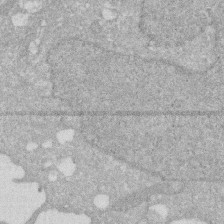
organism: Human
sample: HIV infected U937 cells